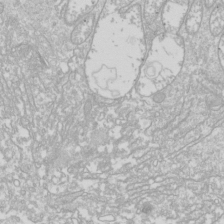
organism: Drosophila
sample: Cell division; meiosis; drosophila spermatocytes